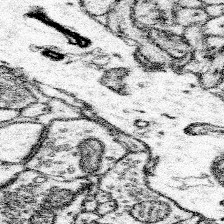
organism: Mouse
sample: Somatosensory cortex neuropil